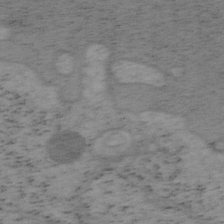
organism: Mouse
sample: OT-I killer T cells with ID8 ovarian cancer cells